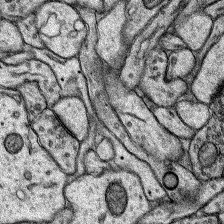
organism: Rat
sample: Hippocampus